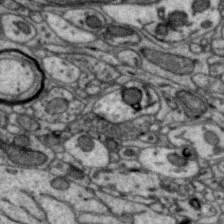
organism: Zebra finch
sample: Brain